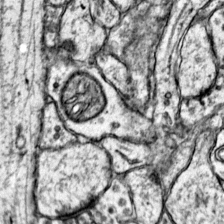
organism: Mouse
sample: Primary visual cortex